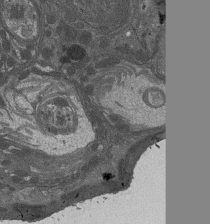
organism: Drosophila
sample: Antenna